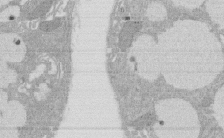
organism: Rat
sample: Salivary granule